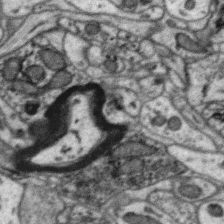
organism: Zebra finch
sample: Brain